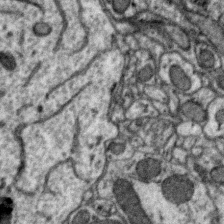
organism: Zebra finch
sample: Brain